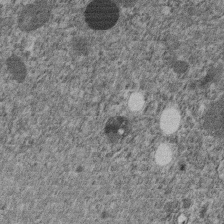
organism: C. elegans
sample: C. elegans embryo early stage